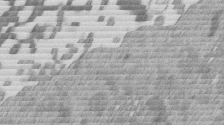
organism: Mouse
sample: Dividing mouse embryo 1 cell stage